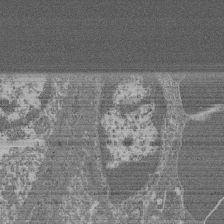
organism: Mouse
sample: Glomerulus